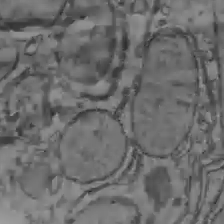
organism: C57BL Mouse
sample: Liver